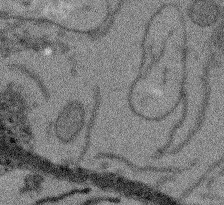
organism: Arabidopsis thaliana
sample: Root tip